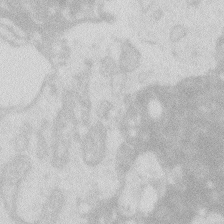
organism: Zebrafish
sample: Macrophage